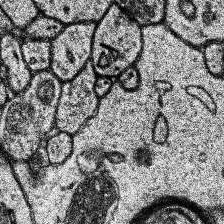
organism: Human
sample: Temporal Lobe